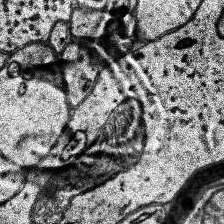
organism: Human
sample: Temporal Lobe